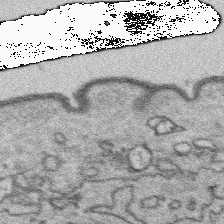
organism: Platynereis dumerilii